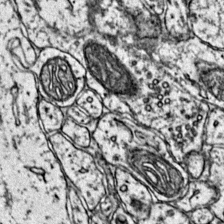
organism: Mouse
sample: Primary visual cortex